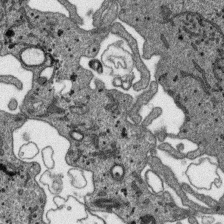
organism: Human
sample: Lung epithelial cells infected with SARS-CoV-2